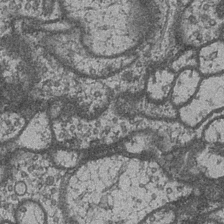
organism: Drosophila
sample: Optic medulla